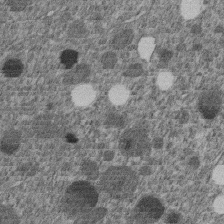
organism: C. elegans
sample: C. elegans embryo early stage